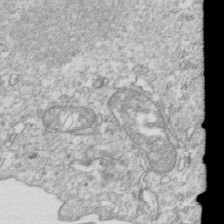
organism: Mouse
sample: Activated OT-1 CD8+ T cells